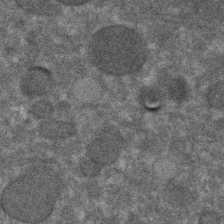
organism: C. elegans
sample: C. elegans embryo